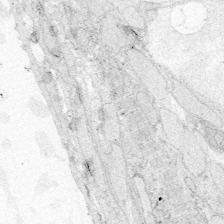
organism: Zebrafish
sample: Whole-Brain